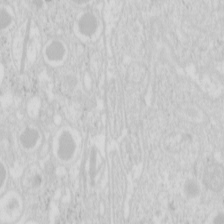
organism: Mouse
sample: Pancreas